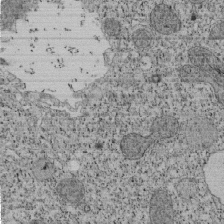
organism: Tetrahymena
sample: Cilia in tetrahymena